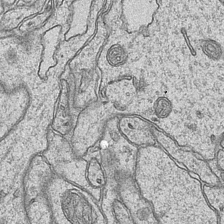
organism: Mouse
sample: CA1 Hippocampus